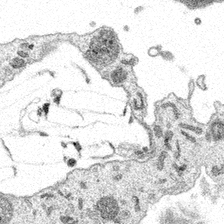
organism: Spongilla lacustris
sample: Multiple